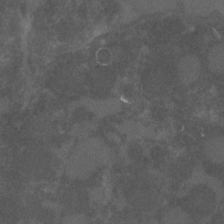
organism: C. elegans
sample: C. elegans embryo